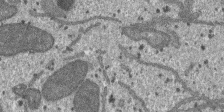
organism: Human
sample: Lung epithelial cells infected with SARS-CoV-2